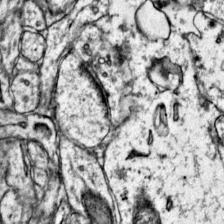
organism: Mouse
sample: Primary visual cortex